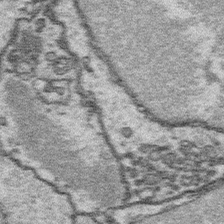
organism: Platynereis dumerilii